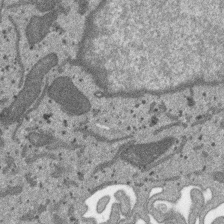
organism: Human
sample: Lung epithelial cells infected with SARS-CoV-2